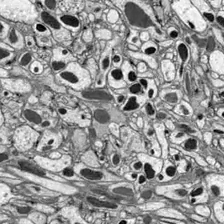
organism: Drosophila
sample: Optic lobe